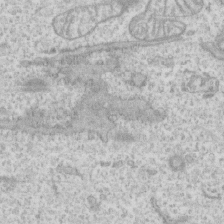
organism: Human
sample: CRL-1474